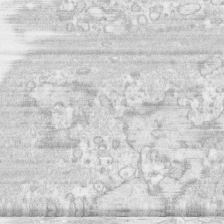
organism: Human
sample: CRL-1474